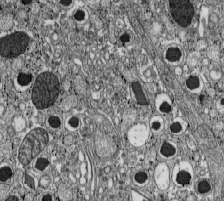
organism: C57BL Mouse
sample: Pancreatic islet